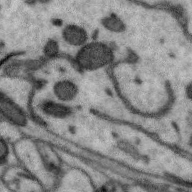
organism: Zebra finch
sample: Brain